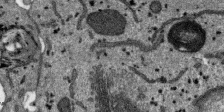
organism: Human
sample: Lung epithelial cells, uninfected (mock) control